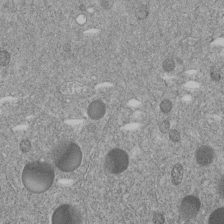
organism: C. elegans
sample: C. elegans embryo early stage